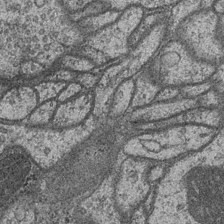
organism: Drosophila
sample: Optic medulla